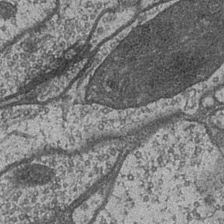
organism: Drosophila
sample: Optic medulla